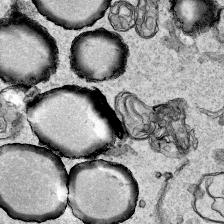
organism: Human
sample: Mitochondria in HCT116 cells